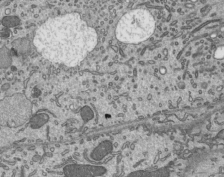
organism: Mouse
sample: Mouse epididymis efferent ductule cilia